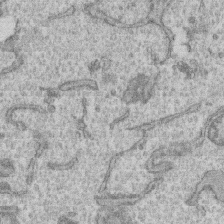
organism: Human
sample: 1205lu cells